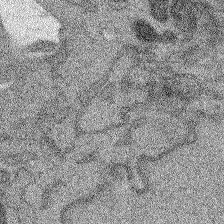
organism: Human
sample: HeLa cells